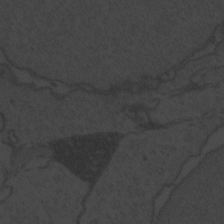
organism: Zebrafish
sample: Macrophage infected with Toxoplasma gondii